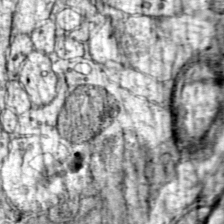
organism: Mouse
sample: Primary visual cortex